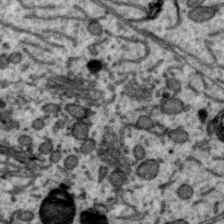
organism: Zebra finch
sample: Brain